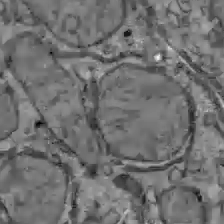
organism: C57BL Mouse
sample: Liver